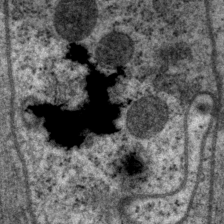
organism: P. pacificus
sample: Pharynx